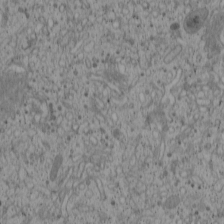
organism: African green monkey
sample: COS-7 cells